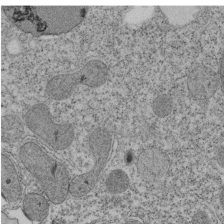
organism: Tetrahymena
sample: Cilia in tetrahymena